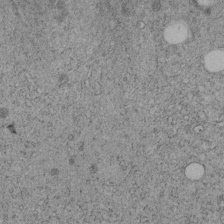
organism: C. elegans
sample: C. elegans embryo early stage